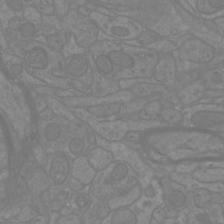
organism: Mouse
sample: Cortical neurons